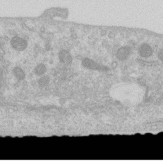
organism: Human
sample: Centriole in RPE cells